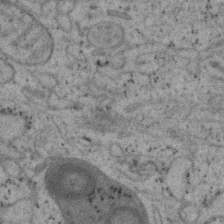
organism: Human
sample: HeLa cells